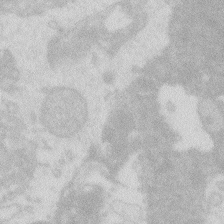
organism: Zebrafish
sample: Macrophage